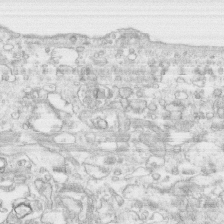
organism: Human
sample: CRL-1474